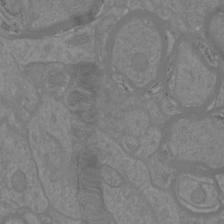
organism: Mouse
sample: Cortical neurons